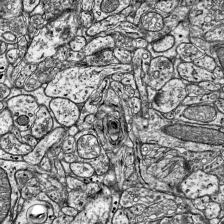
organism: Mouse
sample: Visual Cortex